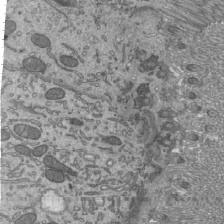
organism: Mouse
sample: Mouse epididymis efferent ductule cilia